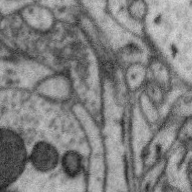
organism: Zebra finch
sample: Brain